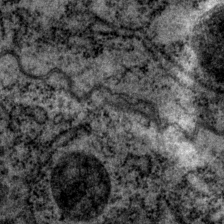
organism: P. pacificus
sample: Pharynx